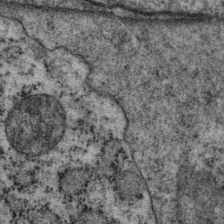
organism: P. pacificus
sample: Pharynx